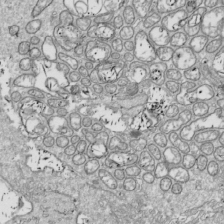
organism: Drosophila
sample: Cell division; meiosis; drosophila spermatocytes